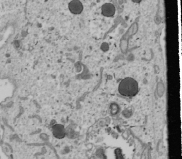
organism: Human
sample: Mitochondria in U2OS cells